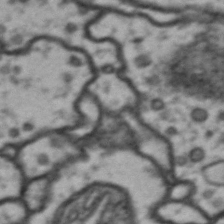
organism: Drosophila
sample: Brain